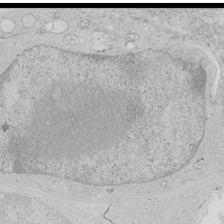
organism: Human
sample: Mitochondria in HCT116 cells